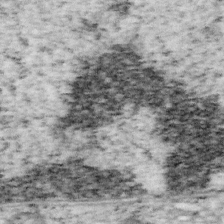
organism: Mouse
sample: OT-I killer T cells with ID8 ovarian cancer cells